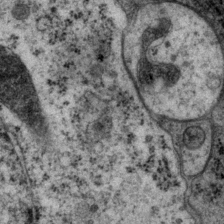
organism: P. pacificus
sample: Pharynx